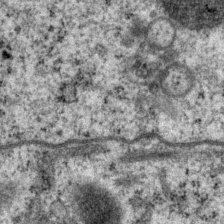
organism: P. pacificus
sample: Pharynx